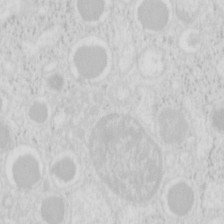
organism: Mouse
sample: Pancreas